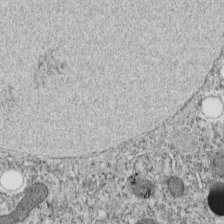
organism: C. elegans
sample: C. elegans embryo early stage